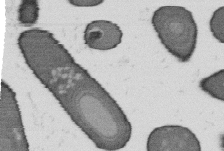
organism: B. subtilis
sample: Bacterial spore